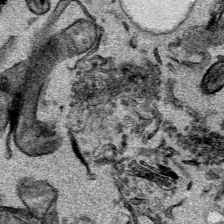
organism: Mouse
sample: Cancer cell death in ED-1 cells